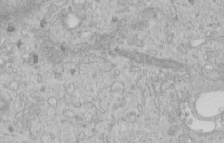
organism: Human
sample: Centriole in RPE cells